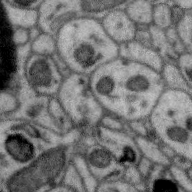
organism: Zebra finch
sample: Brain